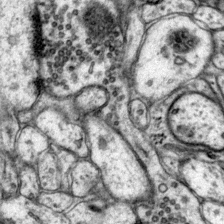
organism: Mouse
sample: Primary visual cortex